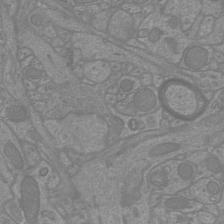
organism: Mouse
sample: Cortical neurons